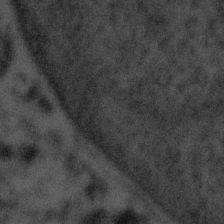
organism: Tuwongella immobilis